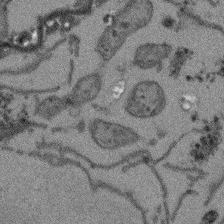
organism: Arabidopsis thaliana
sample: Root tip